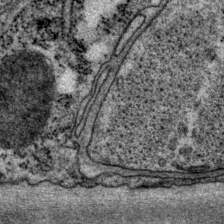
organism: P. pacificus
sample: Pharynx